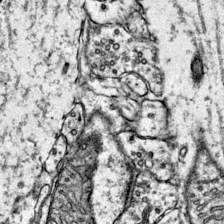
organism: Mouse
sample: Primary visual cortex